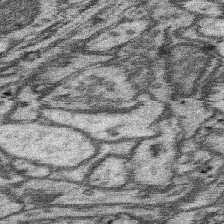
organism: Mouse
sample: Somatosensory cortex neuropil